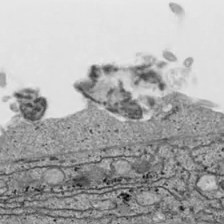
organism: Human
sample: HeLa cells